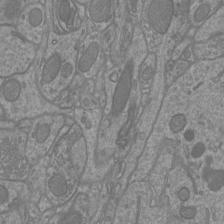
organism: Mouse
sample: Cortical neurons